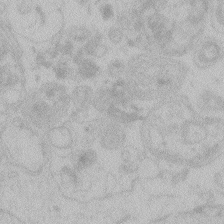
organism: Zebrafish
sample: Macrophage infected with Toxoplasma gondii